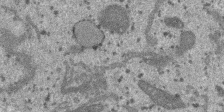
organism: Human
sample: Lung epithelial cells infected with SARS-CoV-2